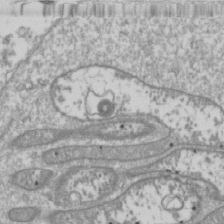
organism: Drosophila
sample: Cell division; meiosis; drosophila spermatocytes